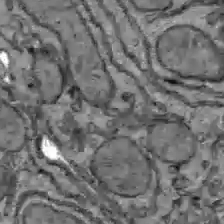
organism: C57BL Mouse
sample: Liver